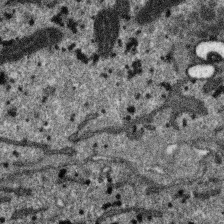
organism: Human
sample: Lung epithelial cells infected with SARS-CoV-2